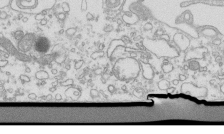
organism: Mouse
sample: Macrophages